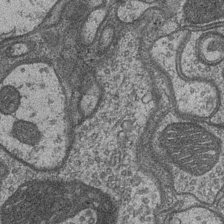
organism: Drosophila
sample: Optic medulla